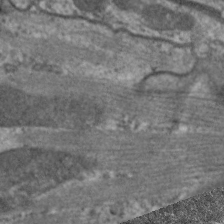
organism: C. elegans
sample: Pharynx